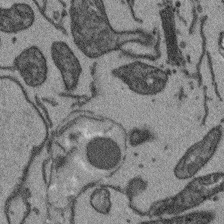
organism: Arabidopsis thaliana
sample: Root tip